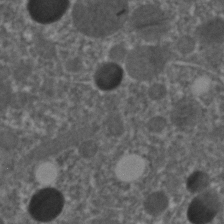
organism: C. elegans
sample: C. elegans embryo